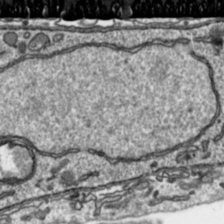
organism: Toxoplasma gondii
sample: Parasites in a vacuole inside a host cell